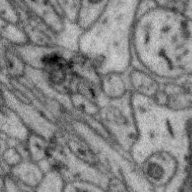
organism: Zebra finch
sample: Brain